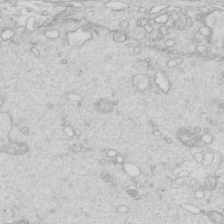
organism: Mouse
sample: Multiciliated cells